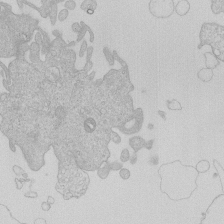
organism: Human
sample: Macrophage cells